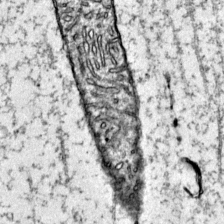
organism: Mouse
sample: Primary visual cortex